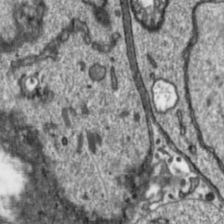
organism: Toxoplasma gondii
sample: Parasites in a vacuole inside a host cell